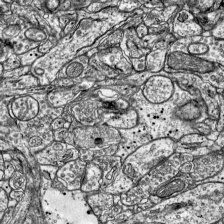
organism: Mouse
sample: Visual Cortex